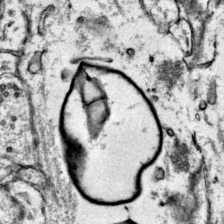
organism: Mouse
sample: Primary visual cortex